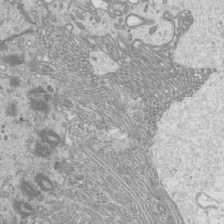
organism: Mouse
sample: Cilia; mouse epididymis